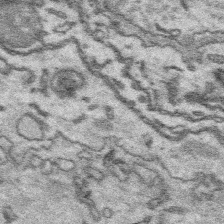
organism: Platynereis dumerilii